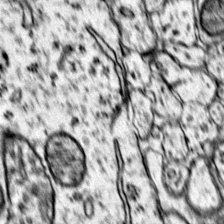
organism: Mouse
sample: Primary visual cortex